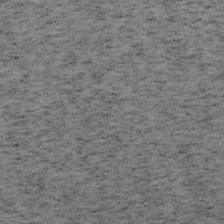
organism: Mouse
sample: OT-I killer T cells with ID8 ovarian cancer cells